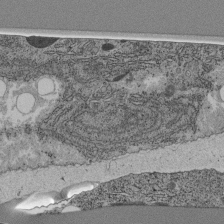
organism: C. elegans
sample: C. elegans pharynx